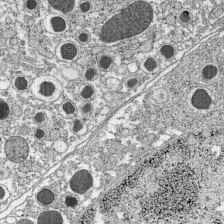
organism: C57BL Mouse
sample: Pancreatic islet